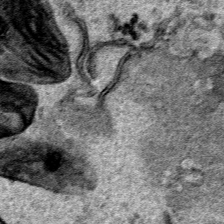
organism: Human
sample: Mitochondria in HCT116 cells